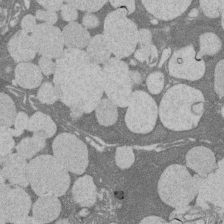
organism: Rat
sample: Salivary granule